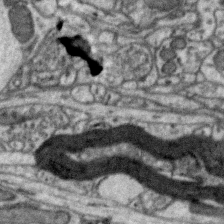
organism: Zebra finch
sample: Brain